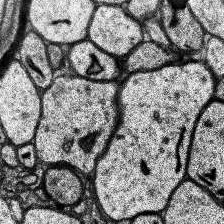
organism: Human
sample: Temporal Lobe